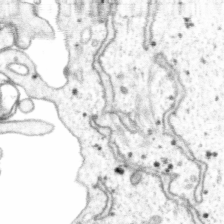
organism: Human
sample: HeLa cells